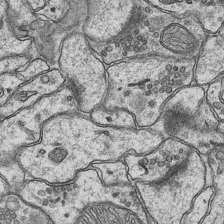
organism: Mouse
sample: CA1 Hippocampus